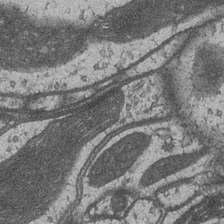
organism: Drosophila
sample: Optic medulla